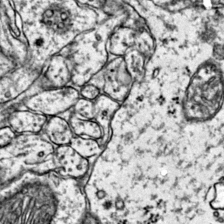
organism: Mouse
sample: Primary visual cortex